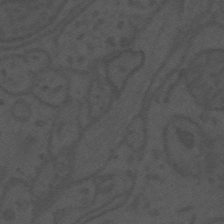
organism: Mouse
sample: Suprachiasmatic nucleus